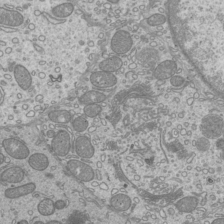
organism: Mouse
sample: Cilia; mouse epididymis